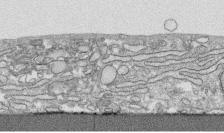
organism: Human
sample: CRL-1474